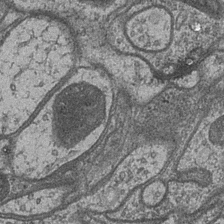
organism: Drosophila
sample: Optic medulla